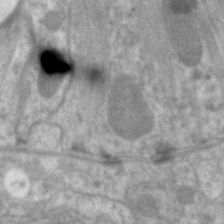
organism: C. elegans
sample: Pharynx